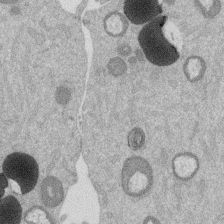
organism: Mouse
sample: Dividing mouse embryo 1 cell stage